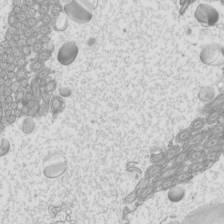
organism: Mouse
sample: Cilia; mouse epididymis